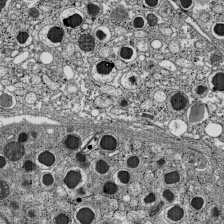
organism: C57BL Mouse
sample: Pancreatic islet